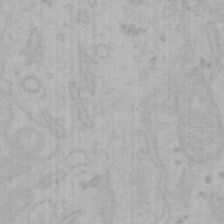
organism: Mouse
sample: Choroid plexus